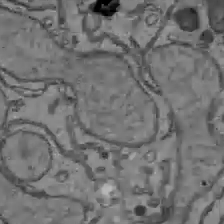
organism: C57BL Mouse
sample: Liver